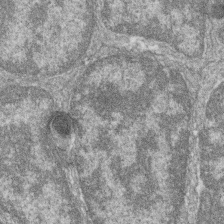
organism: Zebrafish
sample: Cilia; retinal pigment epithelium